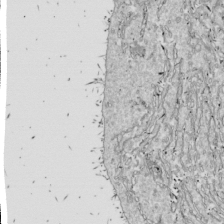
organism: Drosophila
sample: Cell division; meiosis; drosophila spermatocytes